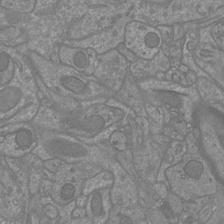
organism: Mouse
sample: Cortical neurons